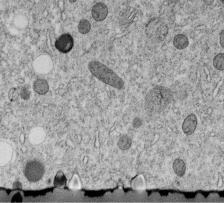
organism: C. elegans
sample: C. elegans embryo early stage